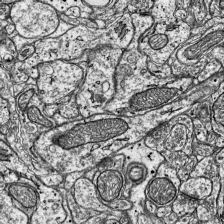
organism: Mouse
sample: Visual Cortex